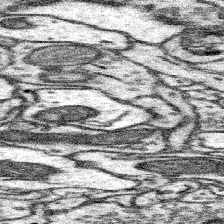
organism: Mouse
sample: Somatosensory cortex neuropil